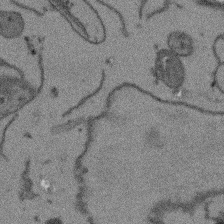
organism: Arabidopsis thaliana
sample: Root tip